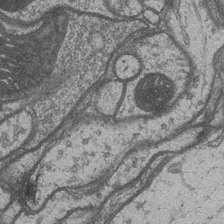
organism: Drosophila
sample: Optic medulla